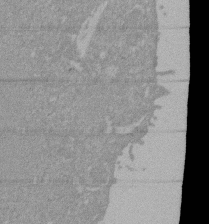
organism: Mouse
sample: ED-1 cell nuclei; centrioles